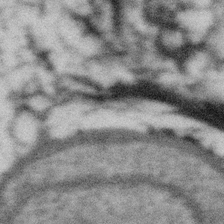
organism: Gemmata obscuriglobus